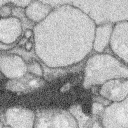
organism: Rabbit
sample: Retina